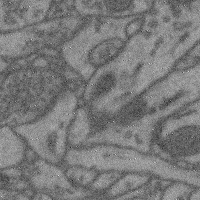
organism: Mouse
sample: Cerebral cortex